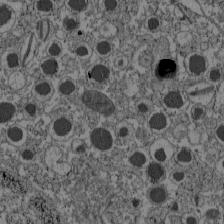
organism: C57BL Mouse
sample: Pancreatic islet